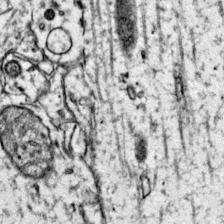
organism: Mouse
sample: Primary visual cortex